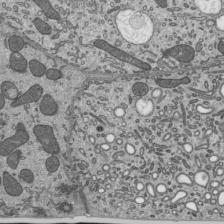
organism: Mouse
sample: Mouse epididymis efferent ductule cilia